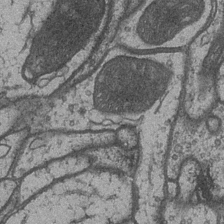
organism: Drosophila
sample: Optic medulla